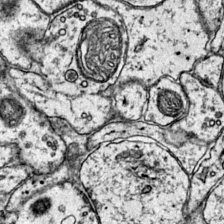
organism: Mouse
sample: Primary visual cortex